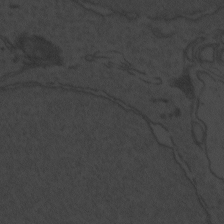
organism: Zebrafish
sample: Macrophage infected with Toxoplasma gondii